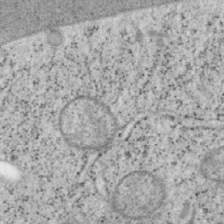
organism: Mouse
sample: OT-I killer T cells with ID8 ovarian cancer cells